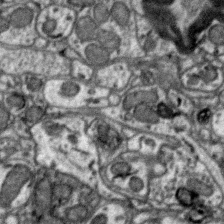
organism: Zebra finch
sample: Brain